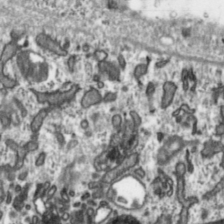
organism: Toxoplasma gondii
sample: Parasites in a vacuole inside a host cell